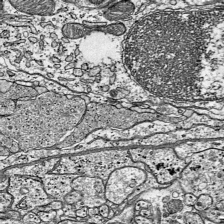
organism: Mouse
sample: Visual Cortex